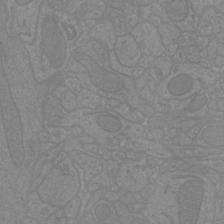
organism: Mouse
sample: Cortical neurons